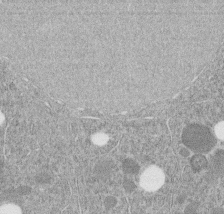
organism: C. elegans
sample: C. elegans embryo early stage